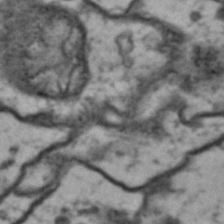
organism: Drosophila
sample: Brain